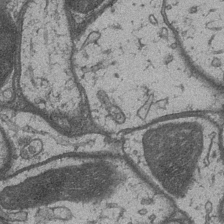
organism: Drosophila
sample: Optic medulla